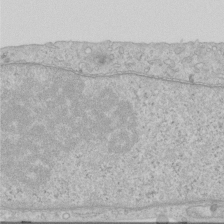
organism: Human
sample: Centriole in RPE cells